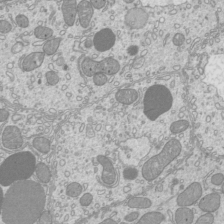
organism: Mouse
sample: Cilia; mouse epididymis